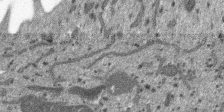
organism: Human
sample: Lung epithelial cells infected with SARS-CoV-2